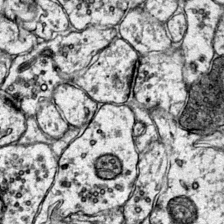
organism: Mouse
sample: Primary visual cortex